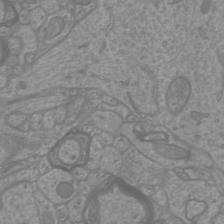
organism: Mouse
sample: Cortical neurons